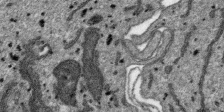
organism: Human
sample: Lung epithelial cells, uninfected (mock) control